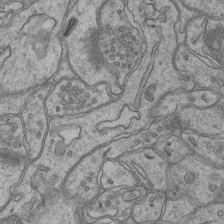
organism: Mouse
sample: CA1 Hippocampus